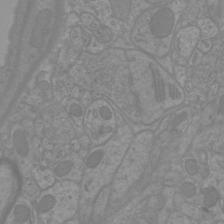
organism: Mouse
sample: Cortical neurons